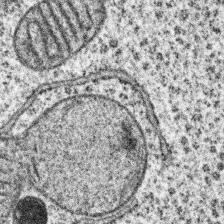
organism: Human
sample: HeLa cells